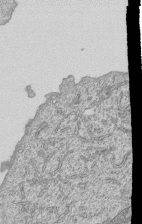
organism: Human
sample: MDA-MB-231 cells